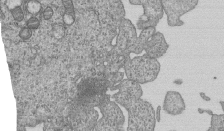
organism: Human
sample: MDA-MB-231 cells